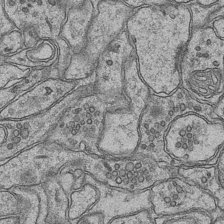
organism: Mouse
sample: CA1 Hippocampus